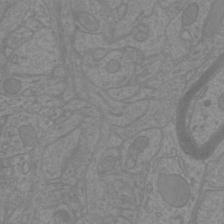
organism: Mouse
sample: Cortical neurons